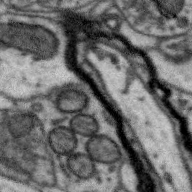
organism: Zebra finch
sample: Brain